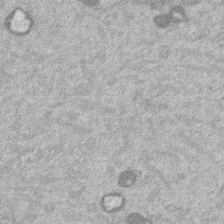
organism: Mouse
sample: Dividing mouse embryo 1 cell stage